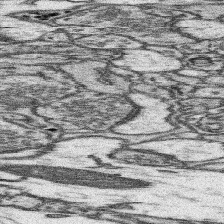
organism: Mouse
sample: Somatosensory cortex neuropil